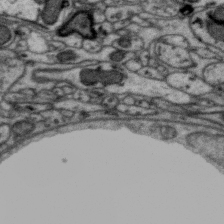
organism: Zebra finch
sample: Brain